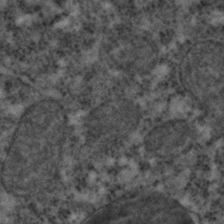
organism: C. elegans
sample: C. elegans embryo